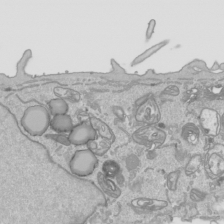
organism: Human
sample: Mitochondria in HCT116 cells